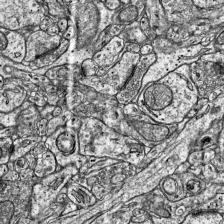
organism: Mouse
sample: Visual Cortex